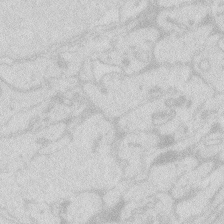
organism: Zebrafish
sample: Macrophage